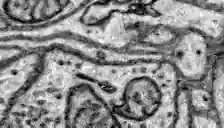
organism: Zebrafish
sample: Brain